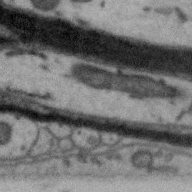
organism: Zebra finch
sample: Brain